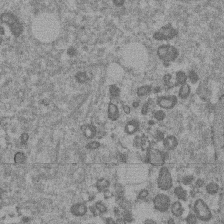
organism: Mouse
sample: Dividing mouse embryo 1 cell stage